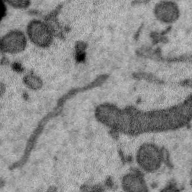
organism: Zebra finch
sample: Brain